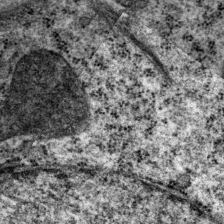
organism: P. pacificus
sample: Pharynx